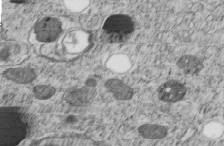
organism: C. elegans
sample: C. elegans embryo early stage